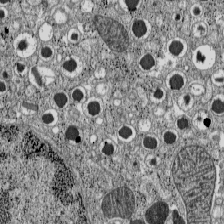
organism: C57BL Mouse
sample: Pancreatic islet